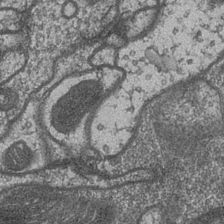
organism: Drosophila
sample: Optic medulla